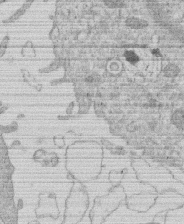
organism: Human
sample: Macrophage cells